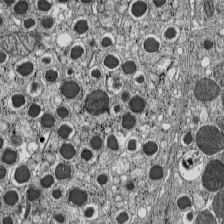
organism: C57BL Mouse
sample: Pancreatic islet